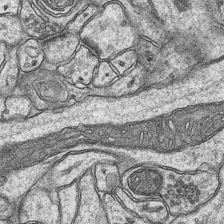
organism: Mouse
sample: CA1 Hippocampus